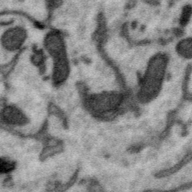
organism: Zebra finch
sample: Brain